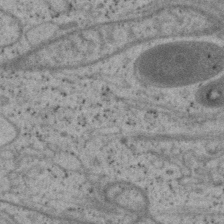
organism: Human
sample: HeLa cells